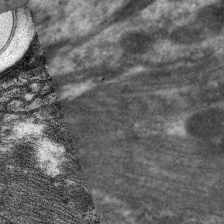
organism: C. elegans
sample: Pharynx